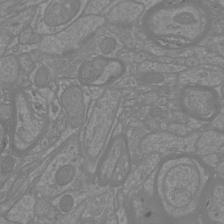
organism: Mouse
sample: Cortical neurons